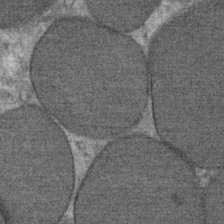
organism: Mouse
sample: Mouse Salivary gland